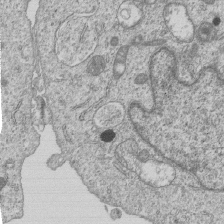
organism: Human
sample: MDA-MB-231 cells